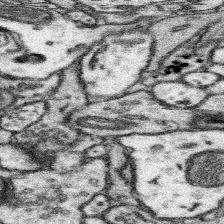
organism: Mouse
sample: Somatosensory cortex neuropil